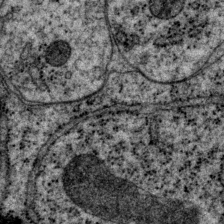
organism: P. pacificus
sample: Pharynx